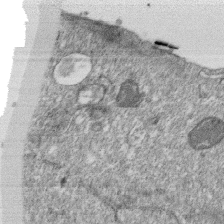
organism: African green monkey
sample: Vero E6 cells infected with SARS-CoV-2